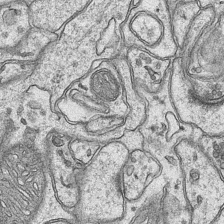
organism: Mouse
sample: CA1 Hippocampus